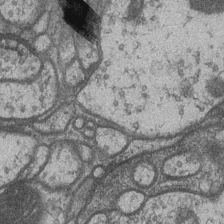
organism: Drosophila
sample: Optic medulla